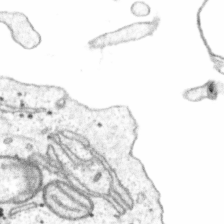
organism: Human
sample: HeLa cells